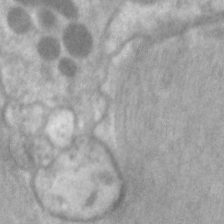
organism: C. elegans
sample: Pharynx